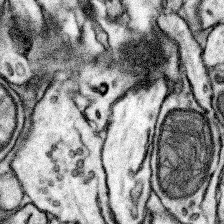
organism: Mouse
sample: Somatosensory cortex neuropil